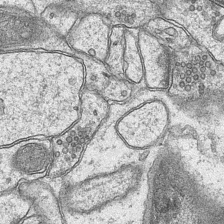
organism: Mouse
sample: CA1 Hippocampus